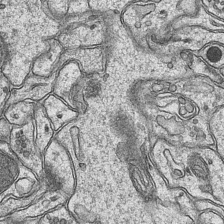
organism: Mouse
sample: CA1 Hippocampus